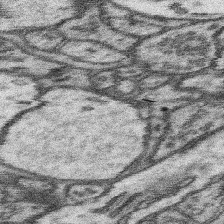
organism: Mouse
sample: Somatosensory cortex neuropil